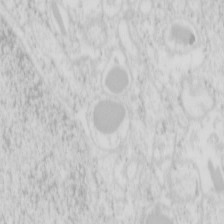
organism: Mouse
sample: Pancreas